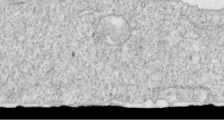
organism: Human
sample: HeLa cell HIV synapse